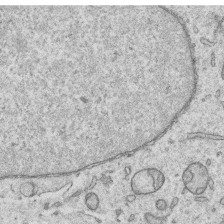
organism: Human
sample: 1205lu cells